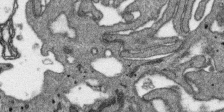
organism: Human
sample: Lung epithelial cells, uninfected (mock) control